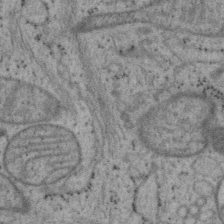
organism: Human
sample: HeLa cells